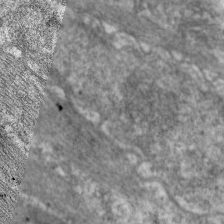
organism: C. elegans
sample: Pharynx